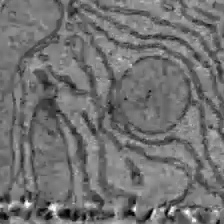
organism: C57BL Mouse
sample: Liver